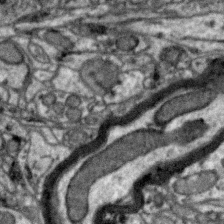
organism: Zebra finch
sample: Brain